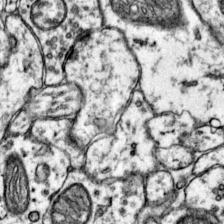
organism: Mouse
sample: Primary visual cortex